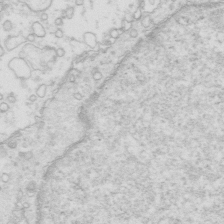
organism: Mouse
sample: Multiciliated cells